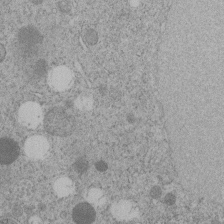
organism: C. elegans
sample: C. elegans embryo early stage